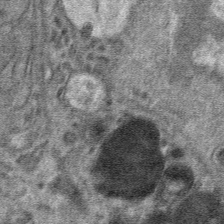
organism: Mouse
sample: Mouse hepatocytes